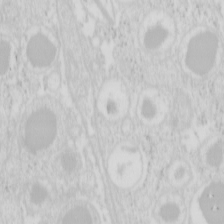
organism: Mouse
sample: Pancreas